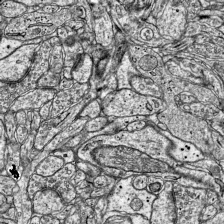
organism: Mouse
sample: Visual Cortex